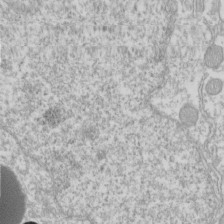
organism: Xenopus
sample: Cilia; centrioles in frog embryo cells